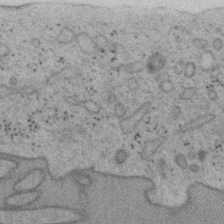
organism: Human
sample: HeLa cells